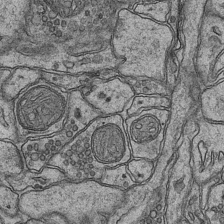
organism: Mouse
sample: CA1 Hippocampus